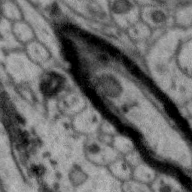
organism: Zebra finch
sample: Brain